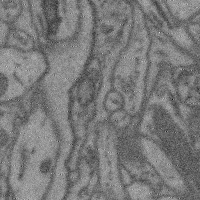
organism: Mouse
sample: Cerebral cortex